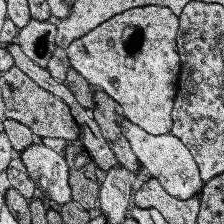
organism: Human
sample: Temporal Lobe